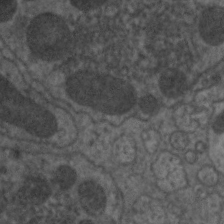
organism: C. elegans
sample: Pharynx